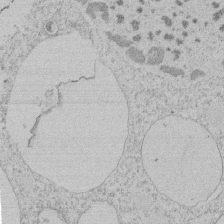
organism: Tetrahymena